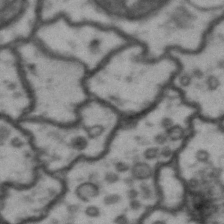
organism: Drosophila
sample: Brain